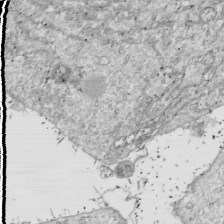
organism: Drosophila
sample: Cell division; meiosis; drosophila spermatocytes